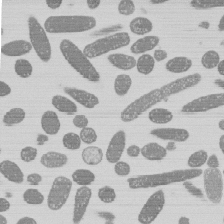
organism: E. coli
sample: Bacterial nucleoid